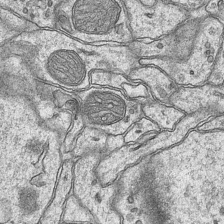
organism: Mouse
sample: CA1 Hippocampus